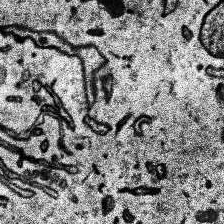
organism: Human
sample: Temporal Lobe